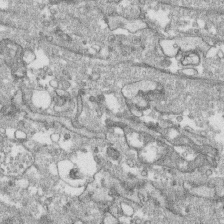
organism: Human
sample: CRL-1474